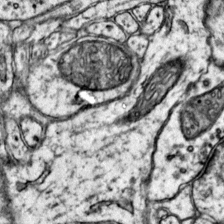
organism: Mouse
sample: Primary visual cortex